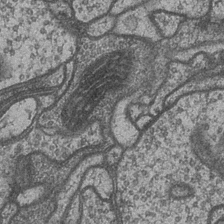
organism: Drosophila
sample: Optic medulla